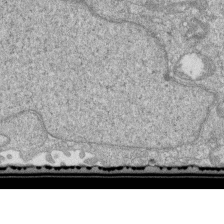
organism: Human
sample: HeLa cell HIV synapse